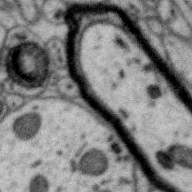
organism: Zebra finch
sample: Brain